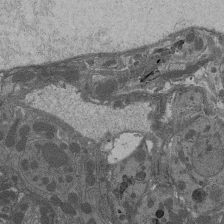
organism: Drosophila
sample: Antenna